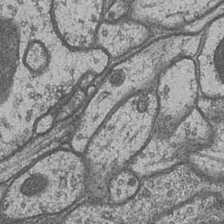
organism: Drosophila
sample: Optic medulla